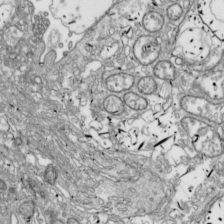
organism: Drosophila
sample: Cell division; meiosis; drosophila spermatocytes